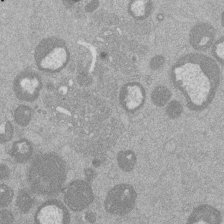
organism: Mouse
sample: Dividing mouse embryo 1 cell stage